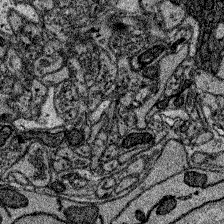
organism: Zebrafish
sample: Larval olfactory bulb